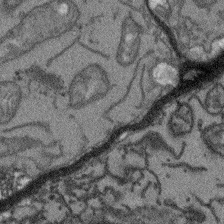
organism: Arabidopsis thaliana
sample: Root tip